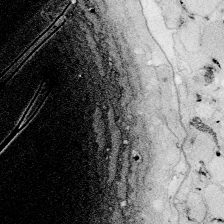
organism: Zebrafish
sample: Whole-Brain